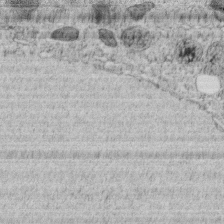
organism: C. elegans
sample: C. elegans embryo early stage